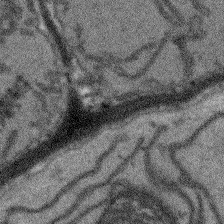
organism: Arabidopsis thaliana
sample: Root tip